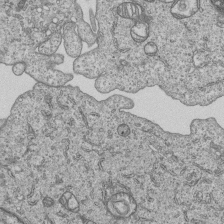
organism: Human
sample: MDA-MB-231 cells